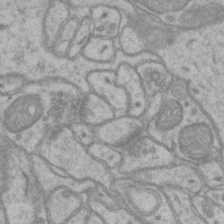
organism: Mouse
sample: CA1 Hippocampus